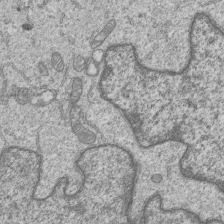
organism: Human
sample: MDA-MB-231 cells